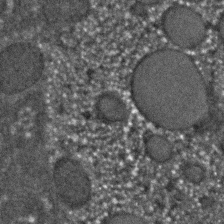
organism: C. elegans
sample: C. elegans embryo